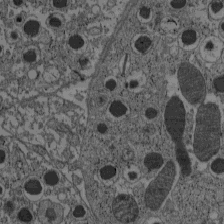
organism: C57BL Mouse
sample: Pancreatic islet